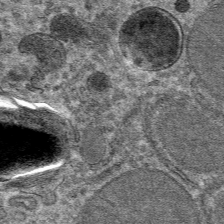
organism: Mouse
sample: Mouse hepatocytes